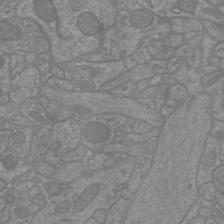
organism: Mouse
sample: Cortical neurons